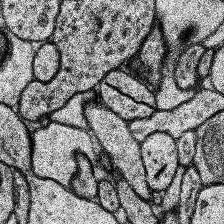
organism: Human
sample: Temporal Lobe